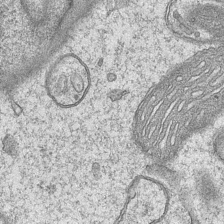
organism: Mouse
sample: CA1 Hippocampus